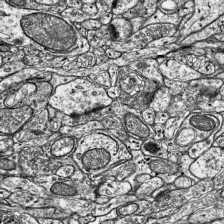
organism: Mouse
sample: Visual Cortex